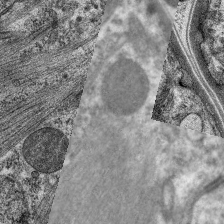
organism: C. elegans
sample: Pharynx